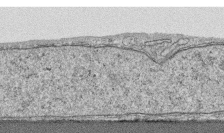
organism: Human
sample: CRL-1474